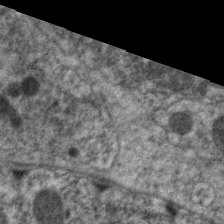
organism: C. elegans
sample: Pharynx